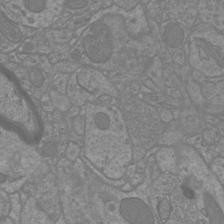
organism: Mouse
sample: Cortical neurons